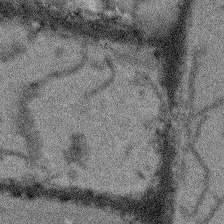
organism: Arabidopsis thaliana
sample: Root tip